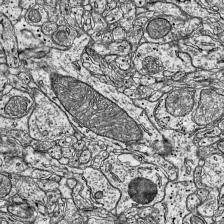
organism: Mouse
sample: Visual Cortex